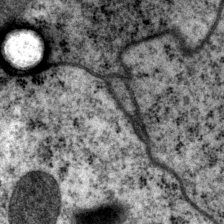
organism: P. pacificus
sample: Pharynx